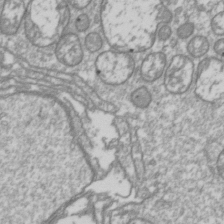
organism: Drosophila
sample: Cell division; meiosis; drosophila spermatocytes